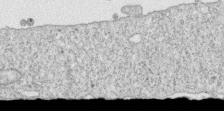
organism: Human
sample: HeLa cell HIV synapse